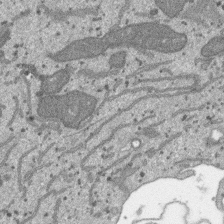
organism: Human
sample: Lung epithelial cells infected with SARS-CoV-2